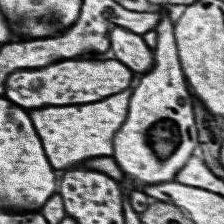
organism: Human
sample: Temporal Lobe